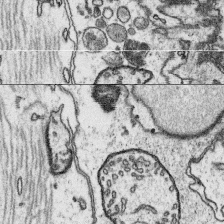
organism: Platynereis dumerilii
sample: Parapodia